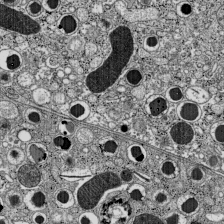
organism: C57BL Mouse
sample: Pancreatic islet